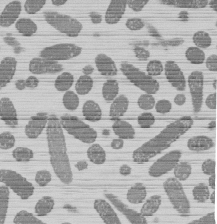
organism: E. coli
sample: Bacterial nucleoid